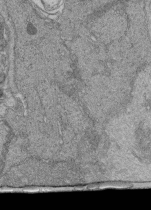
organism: Human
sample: Retinal organoid Rod and Cone cells